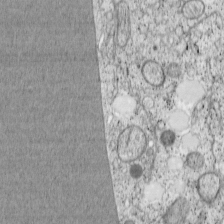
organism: African green monkey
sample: COS-7 cells